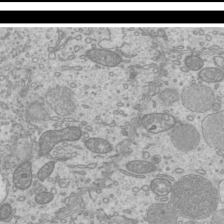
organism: Mouse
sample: Cilia; mouse epididymis